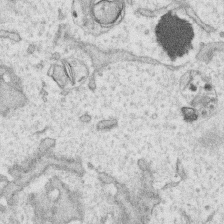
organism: Human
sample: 1205lu cells